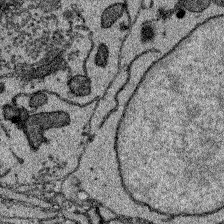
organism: Zebrafish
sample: Larval olfactory bulb